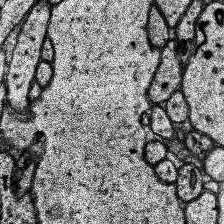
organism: Human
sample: Temporal Lobe